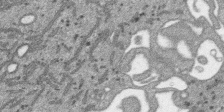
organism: Human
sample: Lung epithelial cells infected with SARS-CoV-2